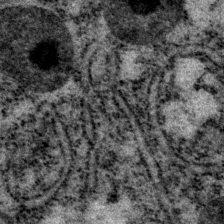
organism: P. pacificus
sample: Pharynx